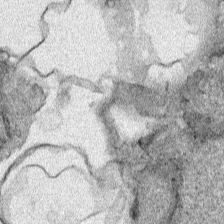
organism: Human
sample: Mitochondria in HCT116 cells